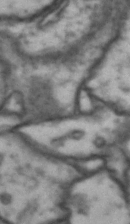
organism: Drosophila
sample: Brain